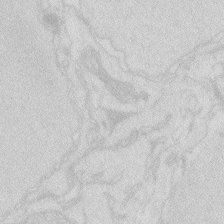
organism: Zebrafish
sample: Macrophage